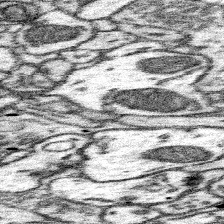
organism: Mouse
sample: Somatosensory cortex neuropil